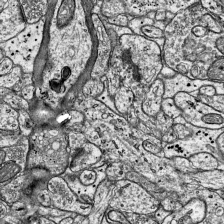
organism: Mouse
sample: Visual Cortex